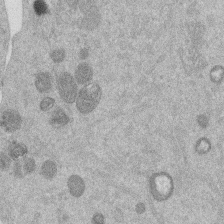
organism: Mouse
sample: Dividing mouse embryo 1 cell stage